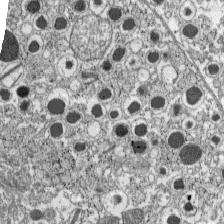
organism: C57BL Mouse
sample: Pancreatic islet